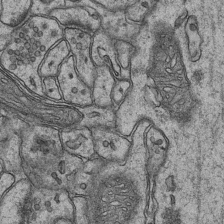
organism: Mouse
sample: CA1 Hippocampus